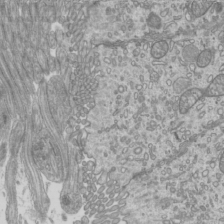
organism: Mouse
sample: Cilia; mouse epididymis